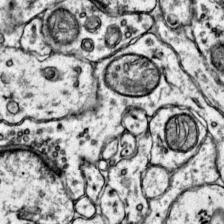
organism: Mouse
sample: Primary visual cortex